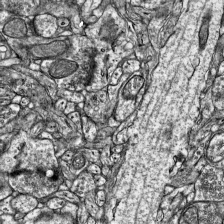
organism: Mouse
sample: Visual Cortex